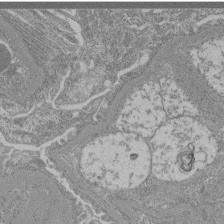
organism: Mouse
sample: Glomerulus